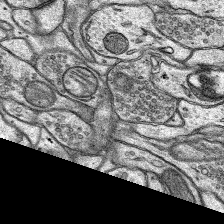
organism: Rat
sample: Hippocampus